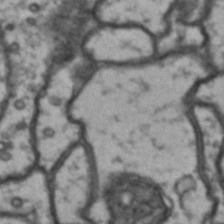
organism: Drosophila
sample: Brain